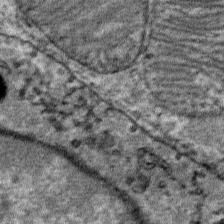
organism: Mouse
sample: Mouse Salivary gland